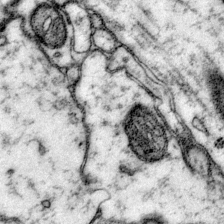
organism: Mouse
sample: Primary visual cortex